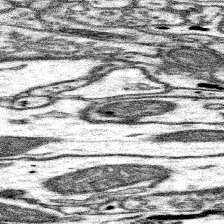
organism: Mouse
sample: Somatosensory cortex neuropil